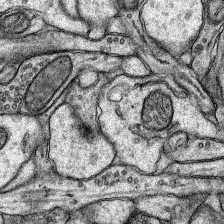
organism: Rat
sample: Hippocampus